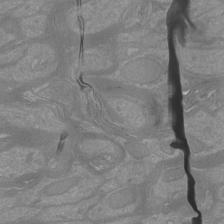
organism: Mouse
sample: Cortical neurons